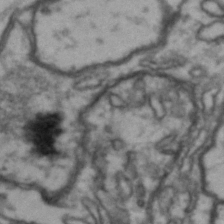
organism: Drosophila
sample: Brain